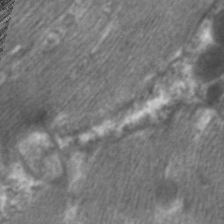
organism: C. elegans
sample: Pharynx